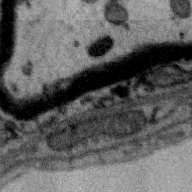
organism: Zebra finch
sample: Brain